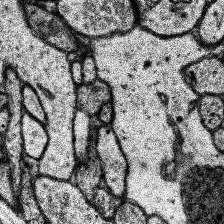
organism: Human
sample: Temporal Lobe